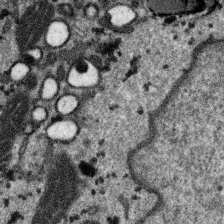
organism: Human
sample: Lung epithelial cells infected with SARS-CoV-2